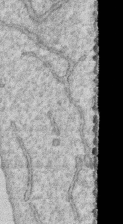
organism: Human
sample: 1205lu cells